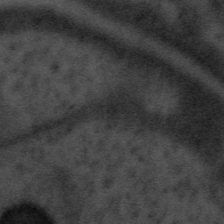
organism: Tuwongella immobilis